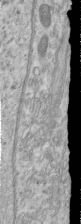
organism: Human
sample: Centriole in RPE cells